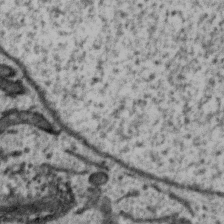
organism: Zebra finch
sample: Brain